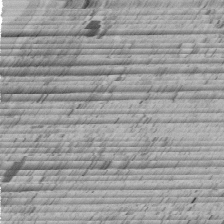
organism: C. elegans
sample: C. elegans embryo early stage